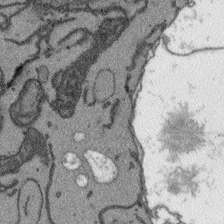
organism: Arabidopsis thaliana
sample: Root tip